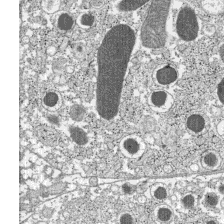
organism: C57BL Mouse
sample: Pancreatic islet